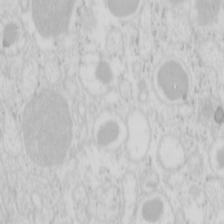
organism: Mouse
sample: Pancreas